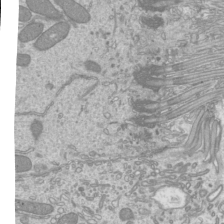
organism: Mouse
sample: Cilia; mouse epididymis